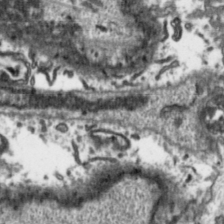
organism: Toxoplasma gondii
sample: Parasites in a vacuole inside a host cell